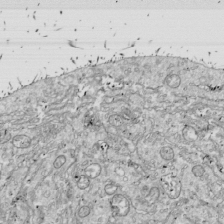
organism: Drosophila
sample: Cell division; meiosis; drosophila spermatocytes